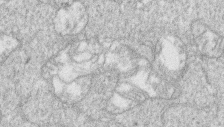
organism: Human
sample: HeLa cell HIV synapse